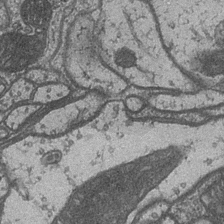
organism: Drosophila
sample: Optic medulla